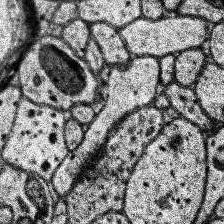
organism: Human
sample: Temporal Lobe